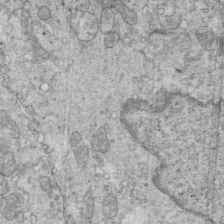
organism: Mouse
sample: Multiciliated cells